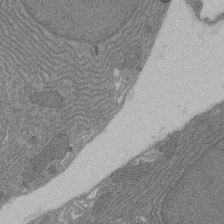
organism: Rat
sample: Salivary granule